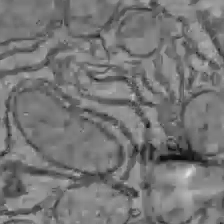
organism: C57BL Mouse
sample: Liver